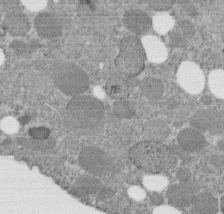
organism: C. elegans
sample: C. elegans embryo early stage